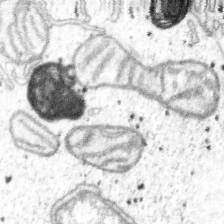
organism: Human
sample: HeLa cells